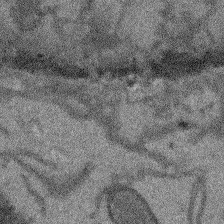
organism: Arabidopsis thaliana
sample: Root tip